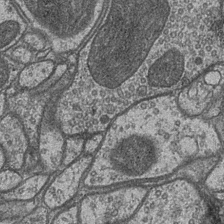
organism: Drosophila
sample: Optic medulla